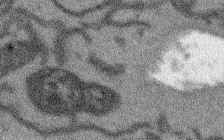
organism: Arabidopsis thaliana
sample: Root tip